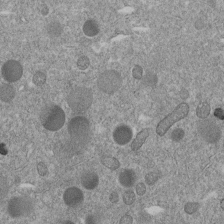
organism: C. elegans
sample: C. elegans embryo early stage